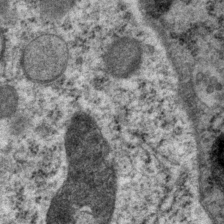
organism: P. pacificus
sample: Pharynx